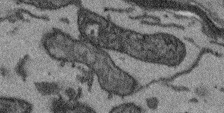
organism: Arabidopsis thaliana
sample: Root tip